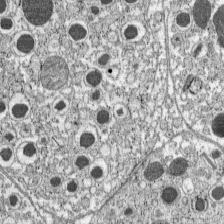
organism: C57BL Mouse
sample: Pancreatic islet